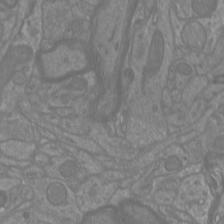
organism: Mouse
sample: Cortical neurons